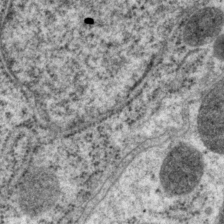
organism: P. pacificus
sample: Pharynx